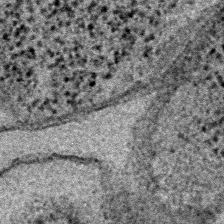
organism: E. coli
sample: E. Coli Bacteria